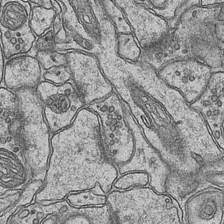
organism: Mouse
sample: CA1 Hippocampus